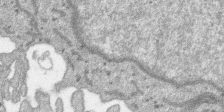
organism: Human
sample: Lung epithelial cells infected with SARS-CoV-2